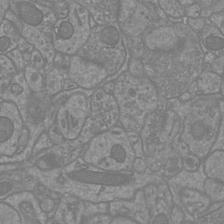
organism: Mouse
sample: Cortical neurons